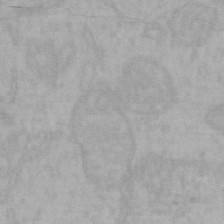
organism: Mouse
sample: Choroid plexus